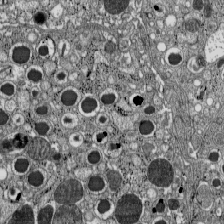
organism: C57BL Mouse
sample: Pancreatic islet